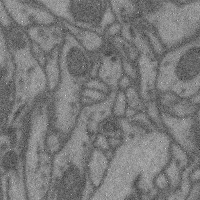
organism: Mouse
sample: Cerebral cortex